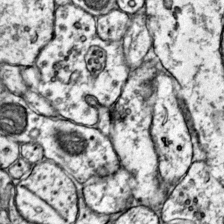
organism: Mouse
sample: Primary visual cortex